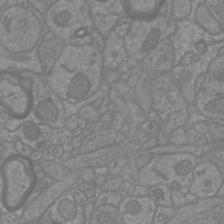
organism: Mouse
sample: Cortical neurons